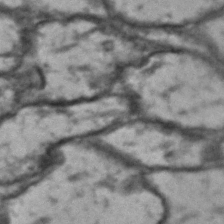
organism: Drosophila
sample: Brain